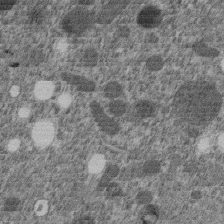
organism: C. elegans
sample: C. elegans embryo early stage